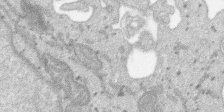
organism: Human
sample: Lung epithelial cells infected with SARS-CoV-2